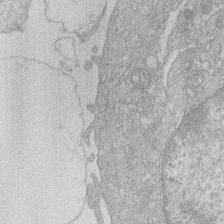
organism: Human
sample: Macrophage cells